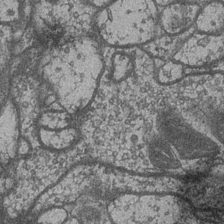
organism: Drosophila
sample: Optic medulla